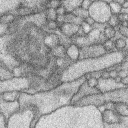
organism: Rabbit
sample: Retina